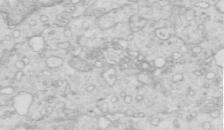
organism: Mouse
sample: Multiciliated cells